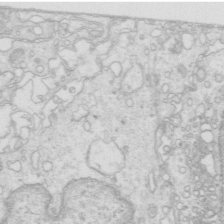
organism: Mouse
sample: Multiciliated cells